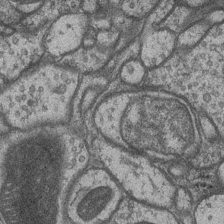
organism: Drosophila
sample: Optic medulla